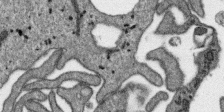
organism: Human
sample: Lung epithelial cells, uninfected (mock) control